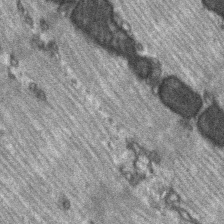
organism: C57BL Mouse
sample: Soleus